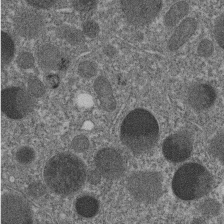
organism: C. elegans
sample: C. elegans embryo early stage